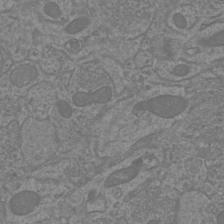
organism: Mouse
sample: Cortical neurons